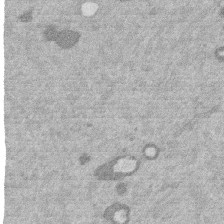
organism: Mouse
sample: Dividing mouse embryo 1 cell stage